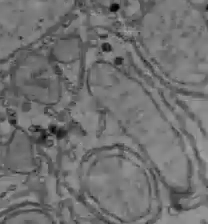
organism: C57BL Mouse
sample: Liver